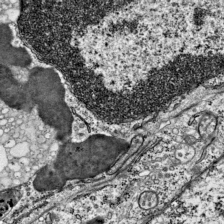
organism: Mouse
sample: Visual Cortex